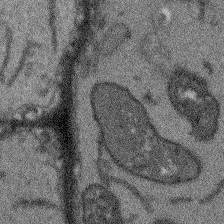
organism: Arabidopsis thaliana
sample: Root tip